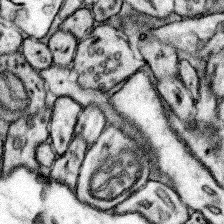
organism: Mouse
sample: Somatosensory cortex neuropil